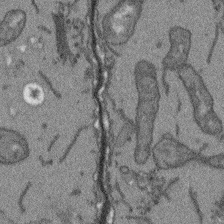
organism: Arabidopsis thaliana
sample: Root tip